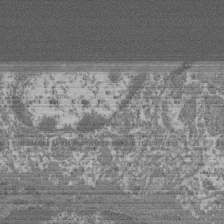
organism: Mouse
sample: Glomerulus